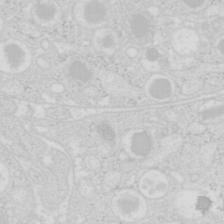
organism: Mouse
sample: Pancreas